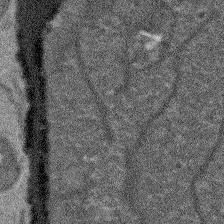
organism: Arabidopsis thaliana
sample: Root tip